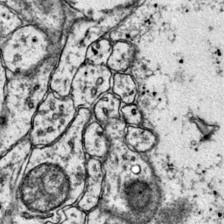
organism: Mouse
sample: Primary visual cortex